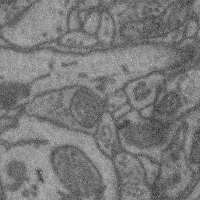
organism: Mouse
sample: Cerebral cortex